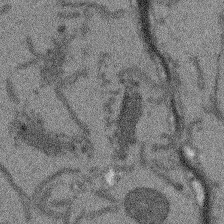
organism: Arabidopsis thaliana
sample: Root tip